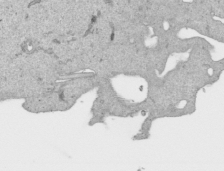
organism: Human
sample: Mitochondria in HCT116 cells